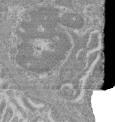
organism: Mouse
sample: Glomerulus